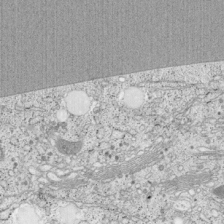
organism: African green monkey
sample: COS-7 cells